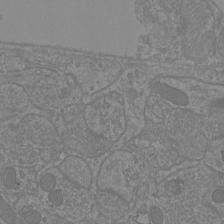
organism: Mouse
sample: Cortical neurons